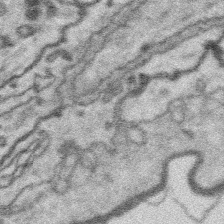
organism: Platynereis dumerilii